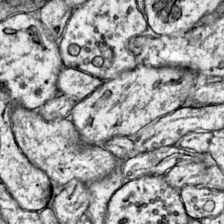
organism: Mouse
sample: Primary visual cortex